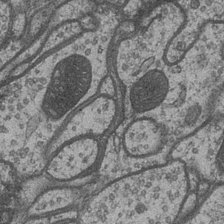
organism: Drosophila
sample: Optic medulla